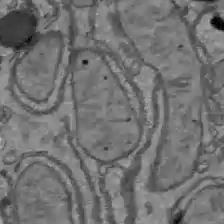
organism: C57BL Mouse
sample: Liver